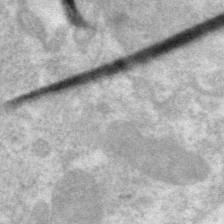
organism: C. elegans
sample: Pharynx